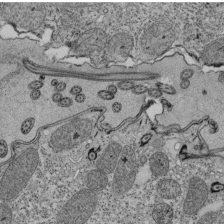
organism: Tetrahymena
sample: Cilia in tetrahymena